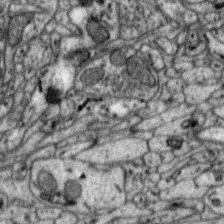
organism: Zebra finch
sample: Brain